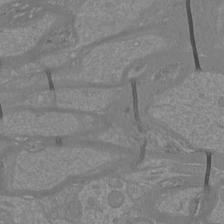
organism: Mouse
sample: Cortical neurons